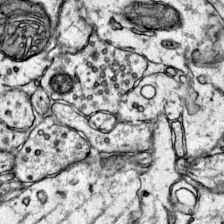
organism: Mouse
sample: Primary visual cortex